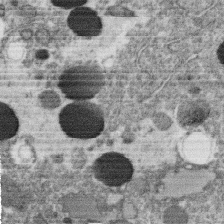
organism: C. elegans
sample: C. elegans oocyte; sperm cells